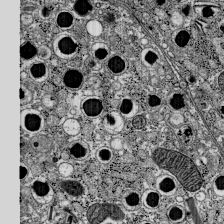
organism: C57BL Mouse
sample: Pancreatic islet